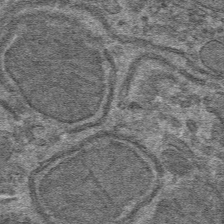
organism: Mouse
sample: Mouse hepatocytes